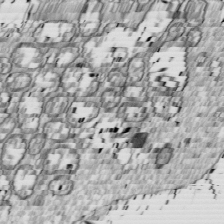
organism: Drosophila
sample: Cell division; meiosis; drosophila spermatocytes